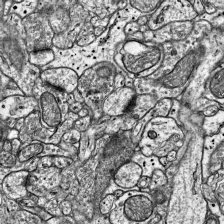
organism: Mouse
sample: Visual Cortex